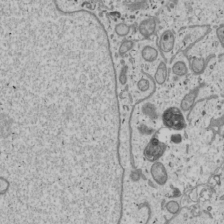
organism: Human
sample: Mitochondria in U2OS cells